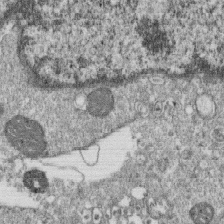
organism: African green monkey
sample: Vero E6 cells infected with SARS-CoV-2